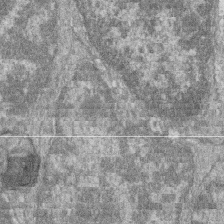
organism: Zebrafish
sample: Cilia; retinal pigment epithelium